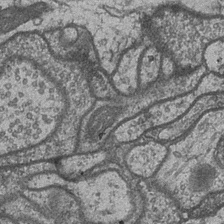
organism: Drosophila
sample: Optic medulla